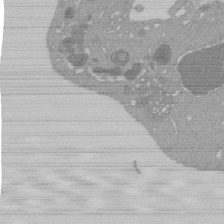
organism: Mouse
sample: Activated Pmel transgenic CD8+ T Cells